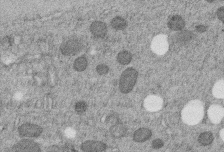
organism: C. elegans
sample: C. elegans embryo early stage